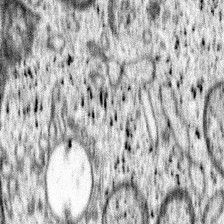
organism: Human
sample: HeLa cells